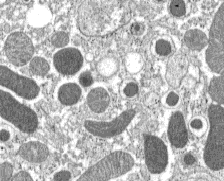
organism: C57BL Mouse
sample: Pancreatic islet